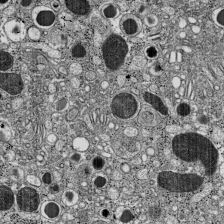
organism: C57BL Mouse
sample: Pancreatic islet